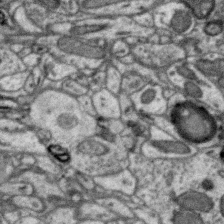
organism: Zebra finch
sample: Brain